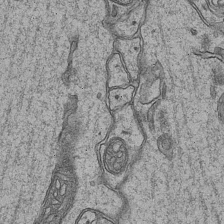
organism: Mouse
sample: CA1 Hippocampus